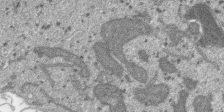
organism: Human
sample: Lung epithelial cells infected with SARS-CoV-2